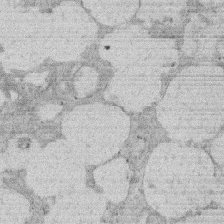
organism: Rat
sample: Salivary granule